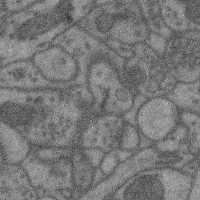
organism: Mouse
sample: Cerebral cortex